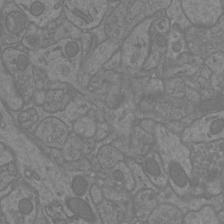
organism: Mouse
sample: Cortical neurons